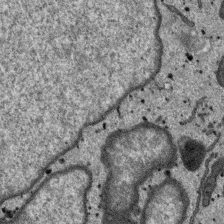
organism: Human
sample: Lung epithelial cells, uninfected (mock) control